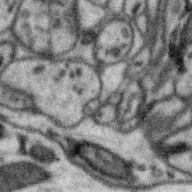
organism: Zebra finch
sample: Brain